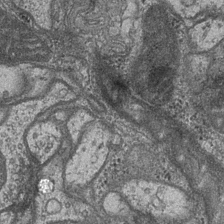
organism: Drosophila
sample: Optic medulla